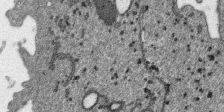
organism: Human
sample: Lung epithelial cells infected with SARS-CoV-2